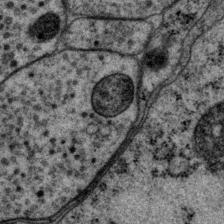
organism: P. pacificus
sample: Pharynx